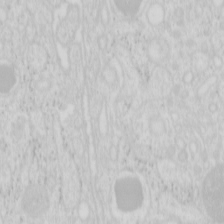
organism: Mouse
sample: Pancreas